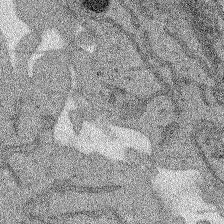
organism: Human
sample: HeLa cells